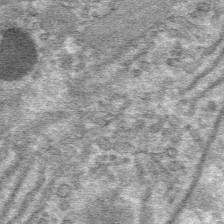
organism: Mouse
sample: Mouse hepatocytes